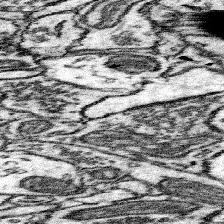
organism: Mouse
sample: Somatosensory cortex neuropil